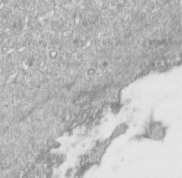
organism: Human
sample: Centriole in RPE cells